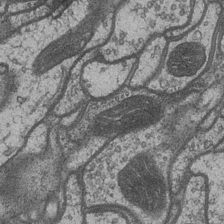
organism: Drosophila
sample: Optic medulla